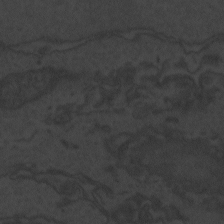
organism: Zebrafish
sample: Macrophage infected with Toxoplasma gondii